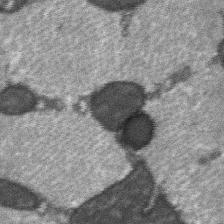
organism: C57BL Mouse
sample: Soleus